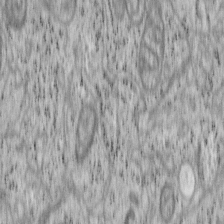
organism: Human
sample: HeLa cells